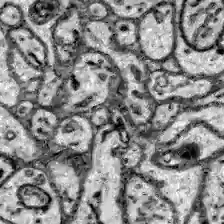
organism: Zebrafish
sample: Brain